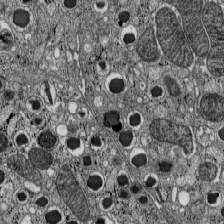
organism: C57BL Mouse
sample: Pancreatic islet